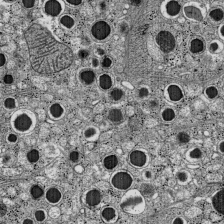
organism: C57BL Mouse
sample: Pancreatic islet